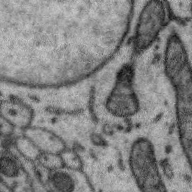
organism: Zebra finch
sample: Brain